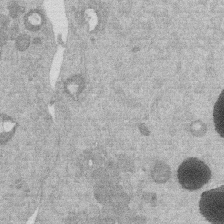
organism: Mouse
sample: Dividing mouse embryo 1 cell stage